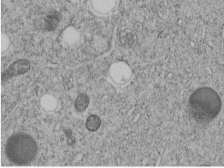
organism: C. elegans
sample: C. elegans embryo early stage